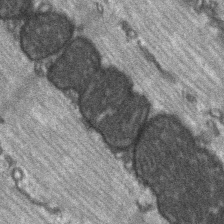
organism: C57BL Mouse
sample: Soleus